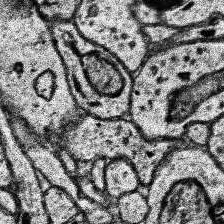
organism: Human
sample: Temporal Lobe